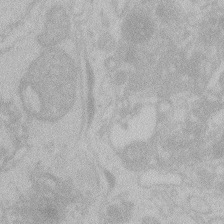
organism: Zebrafish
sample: Macrophage infected with Toxoplasma gondii